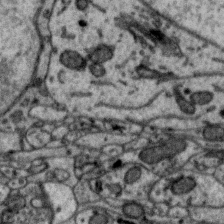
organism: Zebra finch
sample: Brain